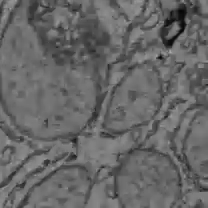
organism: C57BL Mouse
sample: Liver